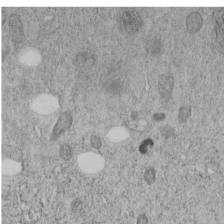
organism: C. elegans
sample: C. elegans embryo early stage